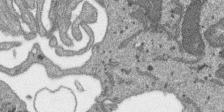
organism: Human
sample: Lung epithelial cells infected with SARS-CoV-2